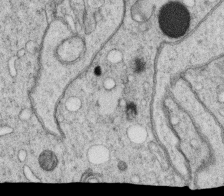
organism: C. elegans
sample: C. elegans oocyte; sperm cells